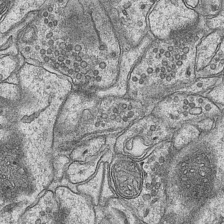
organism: Mouse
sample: CA1 Hippocampus